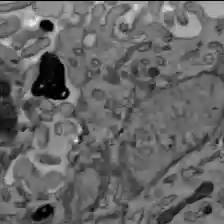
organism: C57BL Mouse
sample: Liver